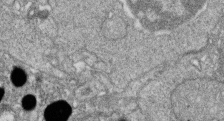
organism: Zebrafish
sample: Cilia; retinal pigment epithelium